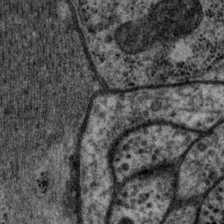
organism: P. pacificus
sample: Pharynx